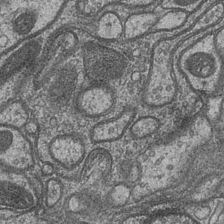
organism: Drosophila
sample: Optic medulla